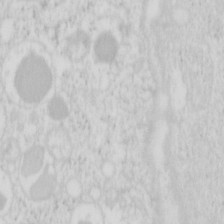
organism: Mouse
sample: Pancreas